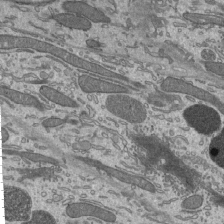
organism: Mouse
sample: Mouse epididymis efferent ductule cilia